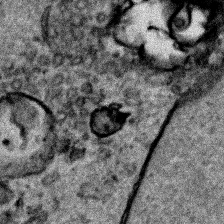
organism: Human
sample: Mitochondria in HCT116 cells